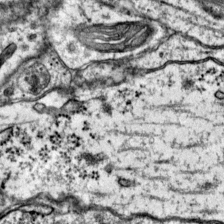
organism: Mouse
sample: Primary visual cortex